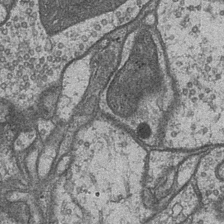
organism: Drosophila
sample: Optic medulla